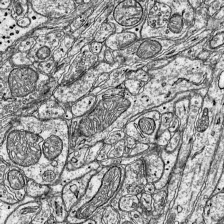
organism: Mouse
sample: Visual Cortex